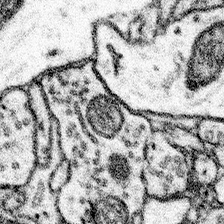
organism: Mouse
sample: Somatosensory cortex neuropil